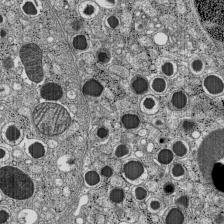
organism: C57BL Mouse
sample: Pancreatic islet